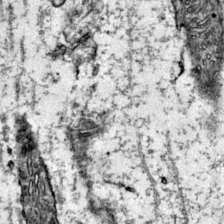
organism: Mouse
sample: Primary visual cortex